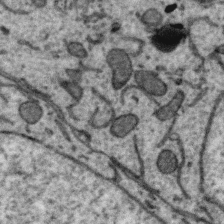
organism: Zebra finch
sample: Brain